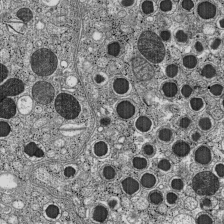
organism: C57BL Mouse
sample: Pancreatic islet